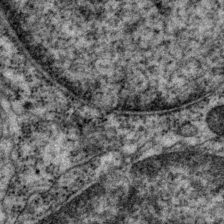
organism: P. pacificus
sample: Pharynx